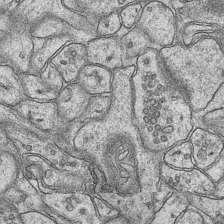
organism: Mouse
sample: CA1 Hippocampus